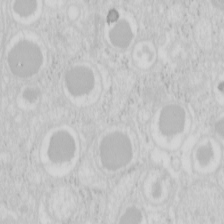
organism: Mouse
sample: Pancreas